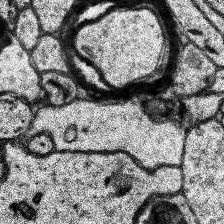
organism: Human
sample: Temporal Lobe